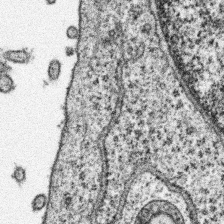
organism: Human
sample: HeLa cells